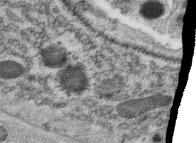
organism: C. elegans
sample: C. elegans oocyte; sperm cells